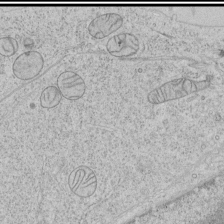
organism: Human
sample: Mitochondria in HCT116 cells